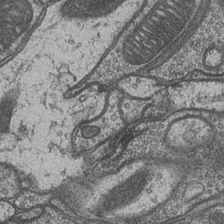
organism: Drosophila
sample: Optic medulla